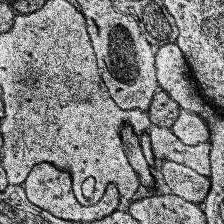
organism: Human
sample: Temporal Lobe